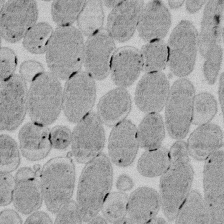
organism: E. coli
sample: Bacterial nucleoid